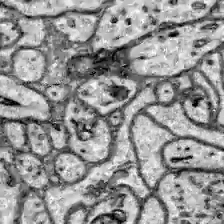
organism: Zebrafish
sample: Brain